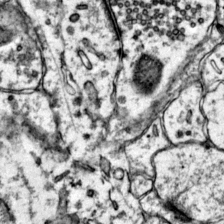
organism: Mouse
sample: Primary visual cortex